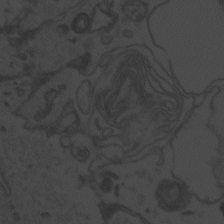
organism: Zebrafish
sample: Macrophage infected with Toxoplasma gondii